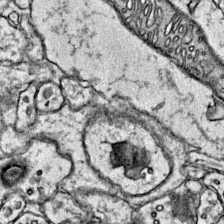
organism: Mouse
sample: Primary visual cortex